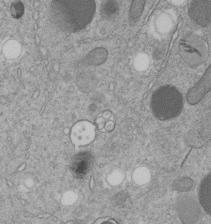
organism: C. elegans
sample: C. elegans embryo early stage